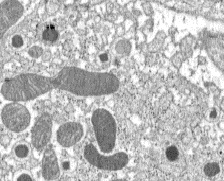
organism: C57BL Mouse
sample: Pancreatic islet